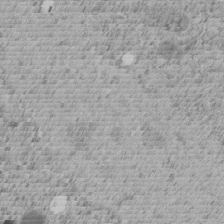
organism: C. elegans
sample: C. elegans embryo early stage